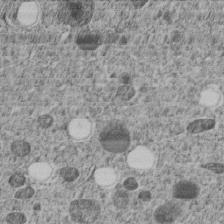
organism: C. elegans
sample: C. elegans embryo early stage